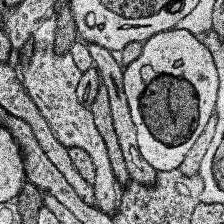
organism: Human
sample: Temporal Lobe